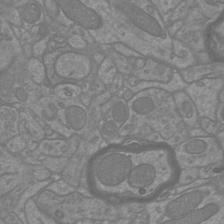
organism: Mouse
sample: Cortical neurons